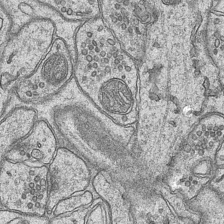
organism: Mouse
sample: CA1 Hippocampus